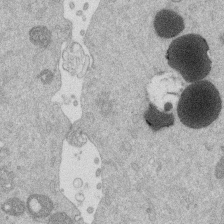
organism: Mouse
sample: Dividing mouse embryo 1 cell stage